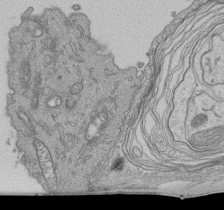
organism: Human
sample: Retinal organoid Rod and Cone cells